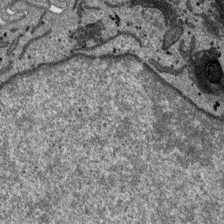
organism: Human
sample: Lung epithelial cells, uninfected (mock) control